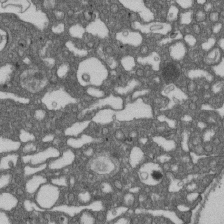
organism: Drosophila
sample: Nephrocyte